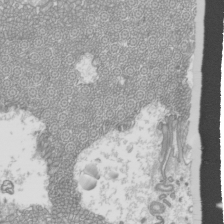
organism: Mouse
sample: Cilia; mouse epididymis